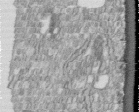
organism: Human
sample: Centriole in fibroblast cells